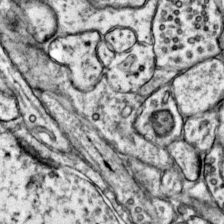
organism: Mouse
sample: Primary visual cortex